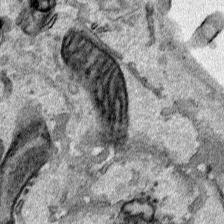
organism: Human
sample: Mitochondria in HCT116 cells